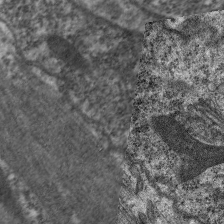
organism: C. elegans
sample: Pharynx